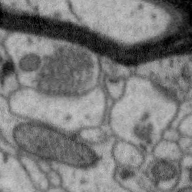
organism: Zebra finch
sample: Brain